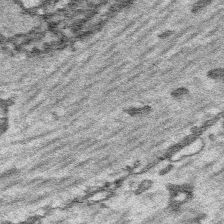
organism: Platynereis dumerilii